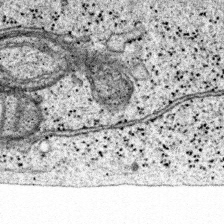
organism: Human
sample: HeLa cells